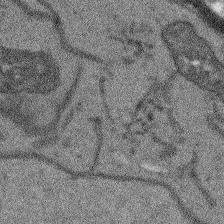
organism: Arabidopsis thaliana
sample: Root tip